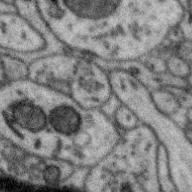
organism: Zebra finch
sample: Brain